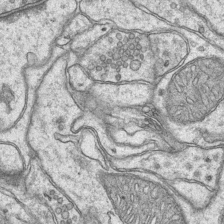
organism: Mouse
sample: CA1 Hippocampus